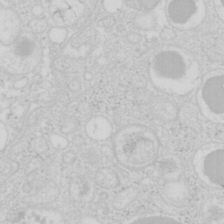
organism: Mouse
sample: Pancreas